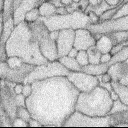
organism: Rabbit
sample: Retina